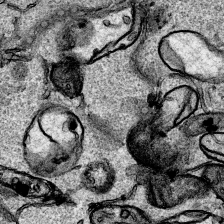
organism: Human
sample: Mitochondria in HCT116 cells